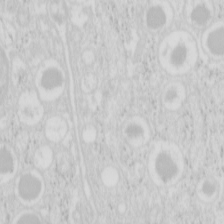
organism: Mouse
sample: Pancreas